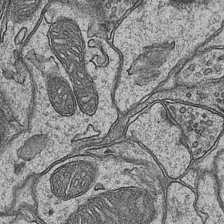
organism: Mouse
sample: CA1 Hippocampus